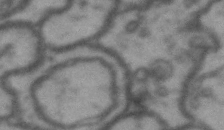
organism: Drosophila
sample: Brain